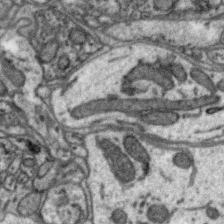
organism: Zebra finch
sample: Brain